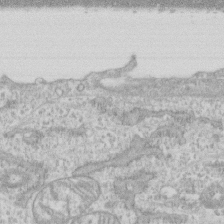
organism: Human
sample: CRL-1474